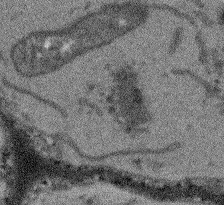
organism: Arabidopsis thaliana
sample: Root tip